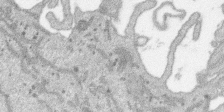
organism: Human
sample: Lung epithelial cells infected with SARS-CoV-2